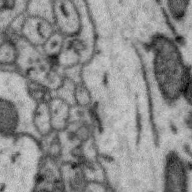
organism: Zebra finch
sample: Brain